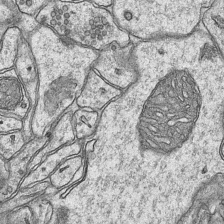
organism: Mouse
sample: CA1 Hippocampus